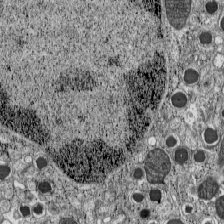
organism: C57BL Mouse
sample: Pancreatic islet